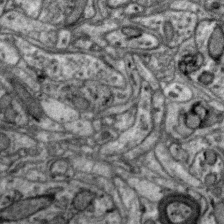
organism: Zebra finch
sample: Brain